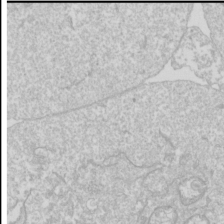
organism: Drosophila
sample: Cell division; meiosis; drosophila spermatocytes